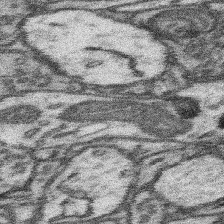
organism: Mouse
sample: Somatosensory cortex neuropil